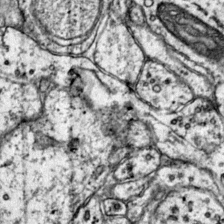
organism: Mouse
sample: Primary visual cortex